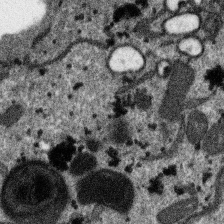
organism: Human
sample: Lung epithelial cells infected with SARS-CoV-2